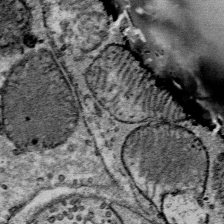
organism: Mouse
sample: Mouse Salivary gland